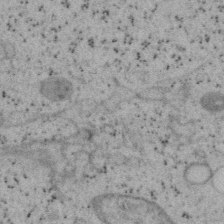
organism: Human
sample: HeLa cells